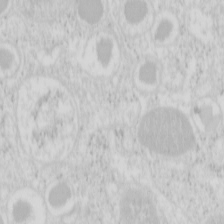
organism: Mouse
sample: Pancreas